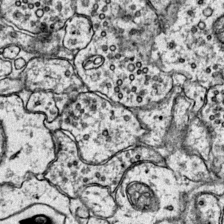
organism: Mouse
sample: Primary visual cortex